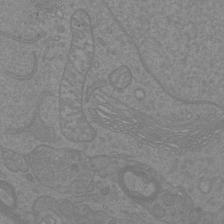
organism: Mouse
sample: Cortical neurons